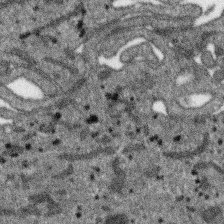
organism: Human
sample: Lung epithelial cells infected with SARS-CoV-2